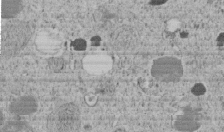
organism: C. elegans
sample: C. elegans embryo early stage